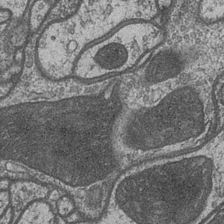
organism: Drosophila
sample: Optic medulla